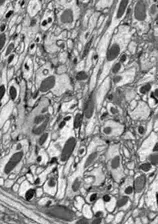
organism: Drosophila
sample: Optic lobe